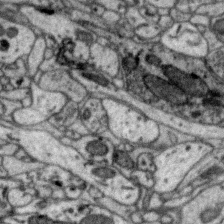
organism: Zebra finch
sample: Brain